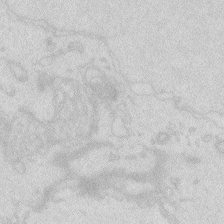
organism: Zebrafish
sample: Macrophage